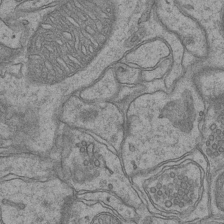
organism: Mouse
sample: CA1 Hippocampus